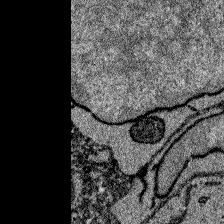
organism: Zebrafish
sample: Larval olfactory bulb